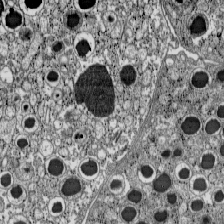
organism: C57BL Mouse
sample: Pancreatic islet